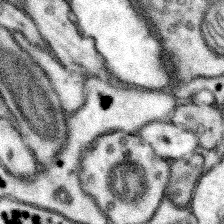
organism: Mouse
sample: Somatosensory cortex neuropil